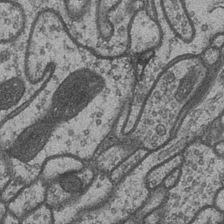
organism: Drosophila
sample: Optic medulla